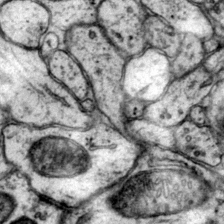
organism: Mouse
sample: Primary visual cortex